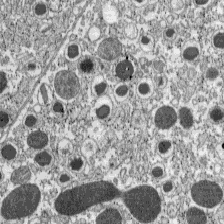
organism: C57BL Mouse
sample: Pancreatic islet